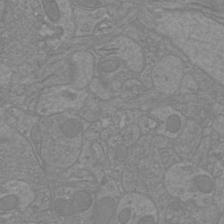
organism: Mouse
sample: Cortical neurons